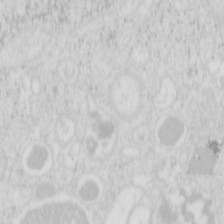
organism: Mouse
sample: Pancreas